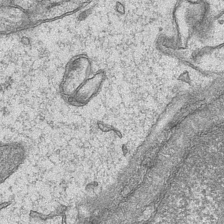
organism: Mouse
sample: CA1 Hippocampus